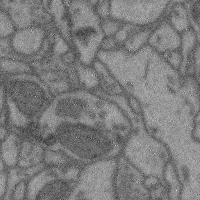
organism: Mouse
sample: Cerebral cortex